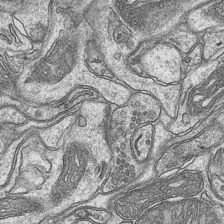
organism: Mouse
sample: CA1 Hippocampus